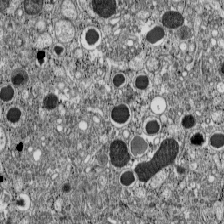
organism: C57BL Mouse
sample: Pancreatic islet